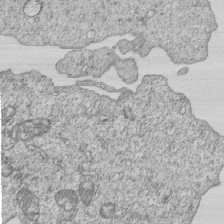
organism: Human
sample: MDA-MB-231 cells